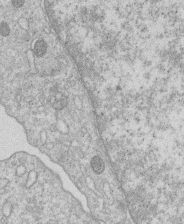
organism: Human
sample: Macrophage cells